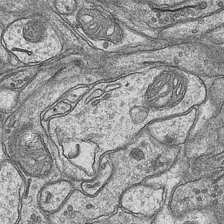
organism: Mouse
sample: CA1 Hippocampus